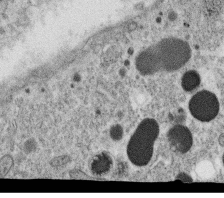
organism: C. elegans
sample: C. elegans oocyte; sperm cells